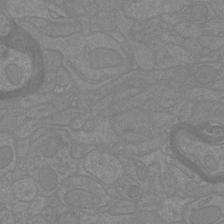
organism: Mouse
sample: Cortical neurons